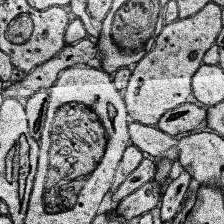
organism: Human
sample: Temporal Lobe